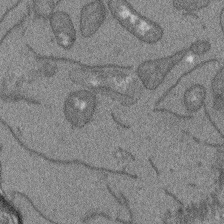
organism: Arabidopsis thaliana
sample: Root tip